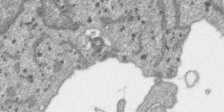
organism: Human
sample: Lung epithelial cells infected with SARS-CoV-2